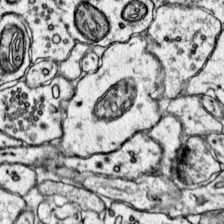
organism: Mouse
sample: Primary visual cortex